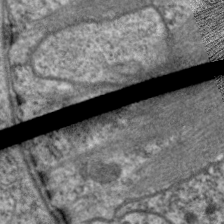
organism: C. elegans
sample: Pharynx